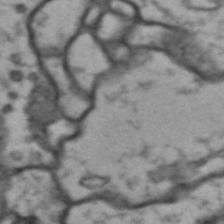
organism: Drosophila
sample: Brain